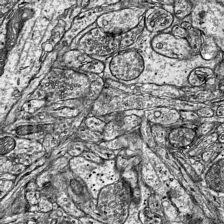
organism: Mouse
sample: Visual Cortex